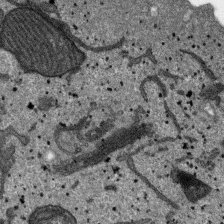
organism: Human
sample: Lung epithelial cells, uninfected (mock) control